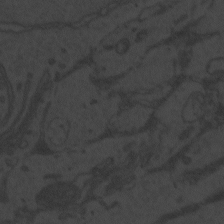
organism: Zebrafish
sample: Macrophage infected with Toxoplasma gondii